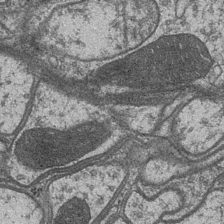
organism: Drosophila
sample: Optic medulla